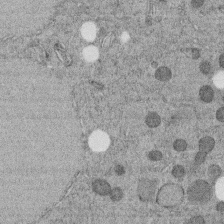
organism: C. elegans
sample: C. elegans embryo early stage